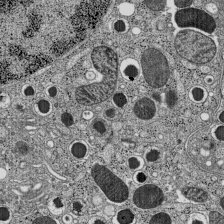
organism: C57BL Mouse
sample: Pancreatic islet